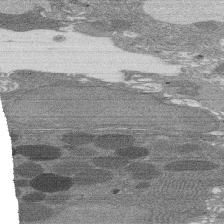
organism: Rat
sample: Salivary granule